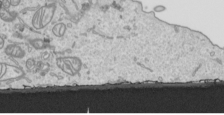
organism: Human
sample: Mitochondria in HCT116 cells